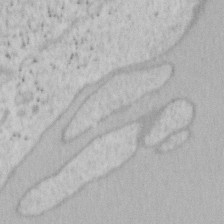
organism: Human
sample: HeLa cells